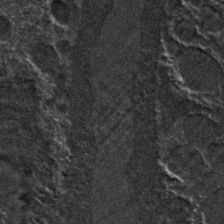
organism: C. elegans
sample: C. elegans embryo